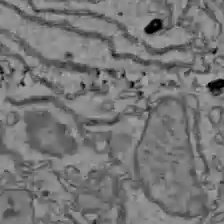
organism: C57BL Mouse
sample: Liver